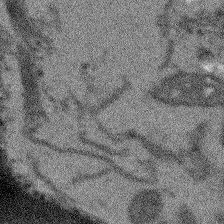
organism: Arabidopsis thaliana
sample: Root tip